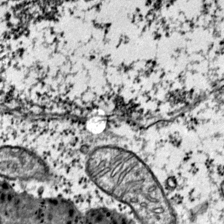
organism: Mouse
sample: Primary visual cortex